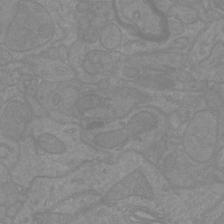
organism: Mouse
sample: Cortical neurons